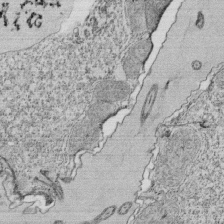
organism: Tetrahymena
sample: Cilia in tetrahymena